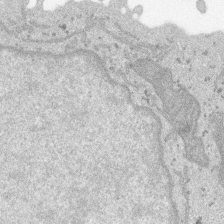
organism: Human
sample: Lung epithelial cells infected with SARS-CoV-2